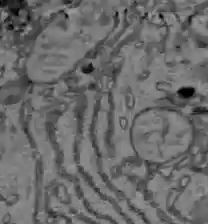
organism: C57BL Mouse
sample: Liver